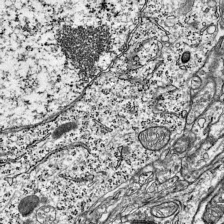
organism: Mouse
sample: Visual Cortex